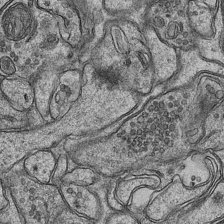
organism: Mouse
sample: CA1 Hippocampus